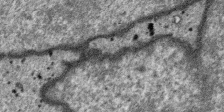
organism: Human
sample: Lung epithelial cells, uninfected (mock) control